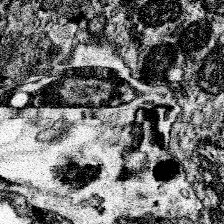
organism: Spongilla lacustris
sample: Neuroid cell